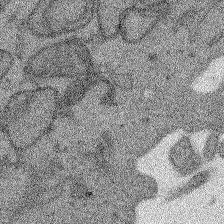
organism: Human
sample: HeLa cells